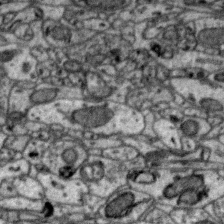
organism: Zebra finch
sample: Brain